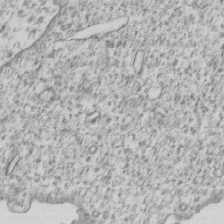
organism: Human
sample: MDA-MB-231 cells